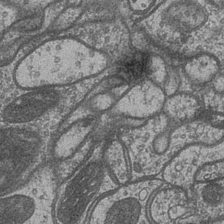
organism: Drosophila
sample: Optic medulla